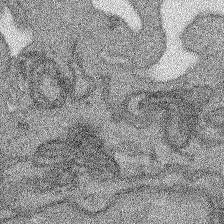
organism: Human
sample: HeLa cells